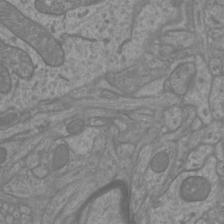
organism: Mouse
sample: Cortical neurons